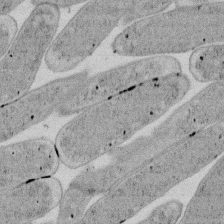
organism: E. coli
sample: Bacterial nucleoid